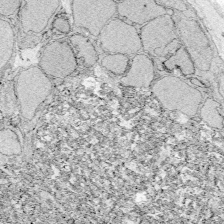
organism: Zebrafish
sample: Whole-Brain